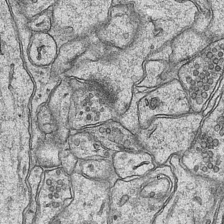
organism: Mouse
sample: CA1 Hippocampus